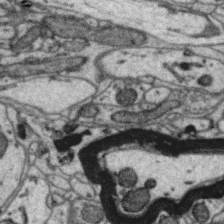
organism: Zebra finch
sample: Brain